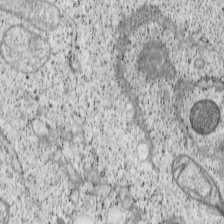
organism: African green monkey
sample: COS-7 cells